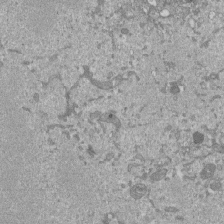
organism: Mouse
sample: ED-1 cell nuclei; centrioles